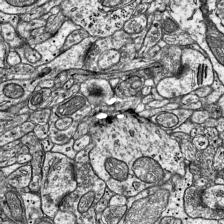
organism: Mouse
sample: Visual Cortex